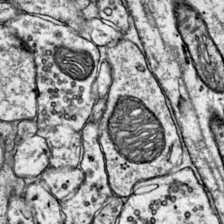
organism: Mouse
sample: Primary visual cortex